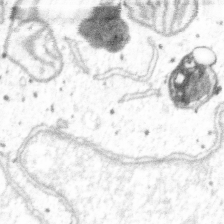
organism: Human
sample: HeLa cells